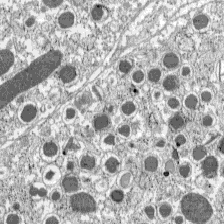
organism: C57BL Mouse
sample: Pancreatic islet